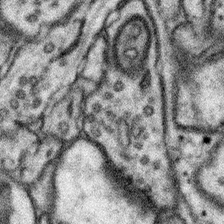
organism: Mouse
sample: Somatosensory cortex neuropil